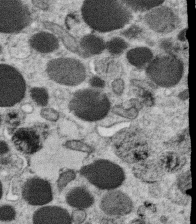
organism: C. elegans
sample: C. elegans oocyte; sperm cells